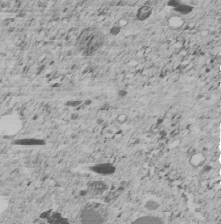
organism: C. elegans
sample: C. elegans embryo early stage